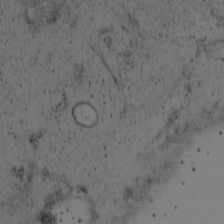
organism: African green monkey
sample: COS-7 cells